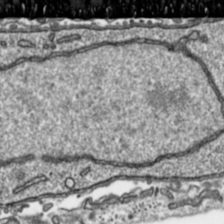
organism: Toxoplasma gondii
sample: Parasites in a vacuole inside a host cell